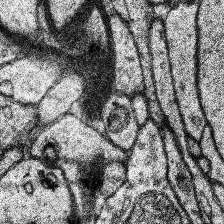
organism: Human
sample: Temporal Lobe